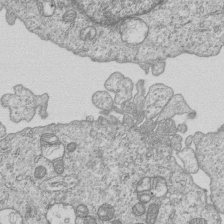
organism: Human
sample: MDA-MB-231 cells